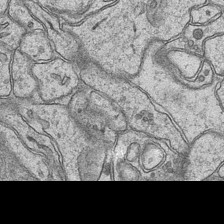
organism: Mouse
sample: CA1 Hippocampus